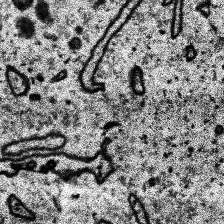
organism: Human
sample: Temporal Lobe